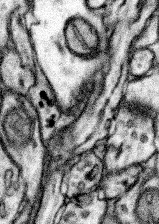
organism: Mouse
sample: Somatosensory cortex neuropil